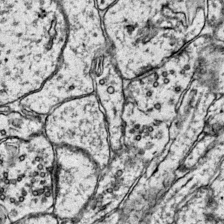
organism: Mouse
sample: Primary visual cortex